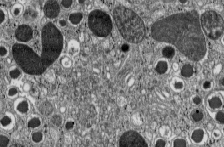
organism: C57BL Mouse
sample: Pancreatic islet